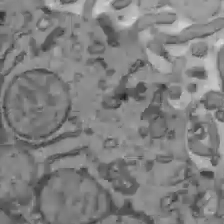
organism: C57BL Mouse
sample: Liver